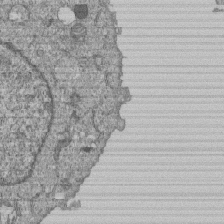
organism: Human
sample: MDA-MB-231 cells